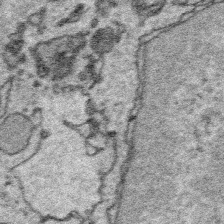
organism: Platynereis dumerilii